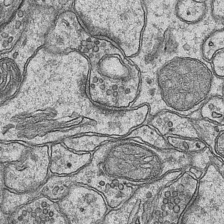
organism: Mouse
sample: CA1 Hippocampus